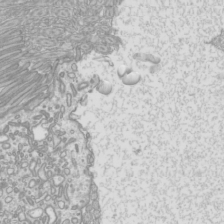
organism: Mouse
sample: Cilia; mouse epididymis